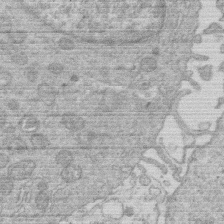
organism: Human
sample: Macrophage cells